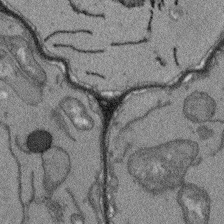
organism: Arabidopsis thaliana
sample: Root tip